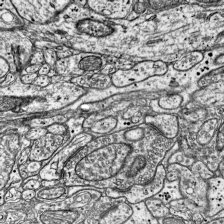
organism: Mouse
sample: Visual Cortex